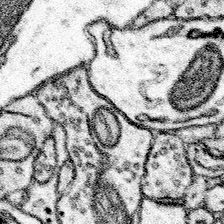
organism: Mouse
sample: Somatosensory cortex neuropil